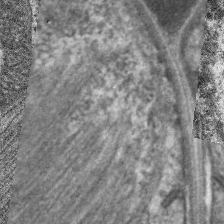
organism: C. elegans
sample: Pharynx